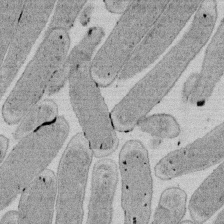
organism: E. coli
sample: Bacterial nucleoid